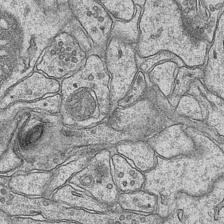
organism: Mouse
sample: CA1 Hippocampus